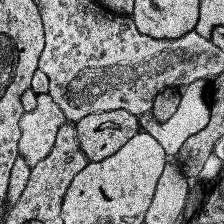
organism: Human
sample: Temporal Lobe